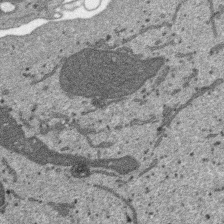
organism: Human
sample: Lung epithelial cells infected with SARS-CoV-2